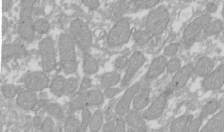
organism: Xenopus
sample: Cilia; centrioles in frog embryo cells